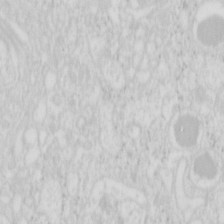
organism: Mouse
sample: Pancreas